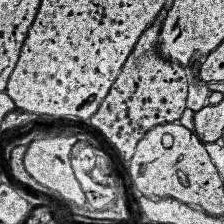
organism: Human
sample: Temporal Lobe